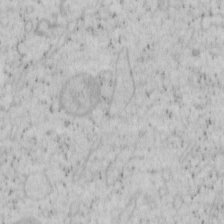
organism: Human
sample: HeLa cells